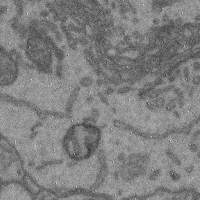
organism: Mouse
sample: Cerebral cortex